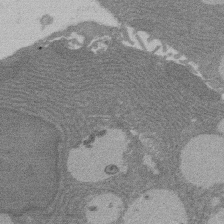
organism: Rat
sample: Salivary granule